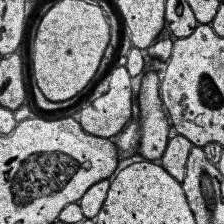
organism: Human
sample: Temporal Lobe